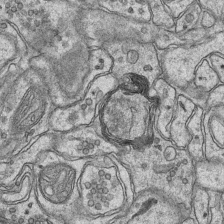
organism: Mouse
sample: CA1 Hippocampus